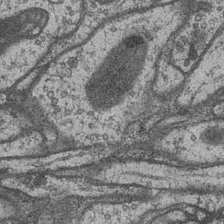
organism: Drosophila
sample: Optic medulla